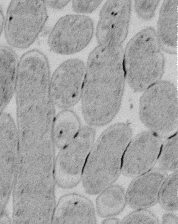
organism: E. coli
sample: Bacterial nucleoid